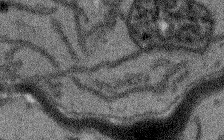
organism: Arabidopsis thaliana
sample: Root tip